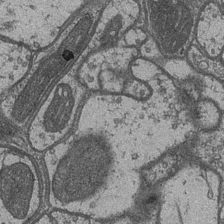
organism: Drosophila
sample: Optic medulla